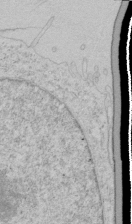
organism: Human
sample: Mitochondria in HCT116 cells